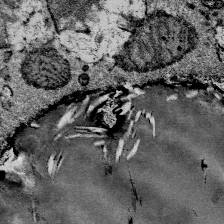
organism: Mouse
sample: Mouse Salivary gland